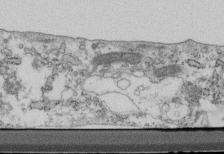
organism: Mouse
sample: Cilia; retinal pigment epithelium